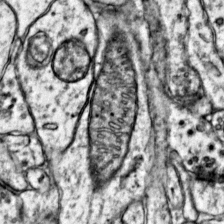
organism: Mouse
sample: Primary visual cortex